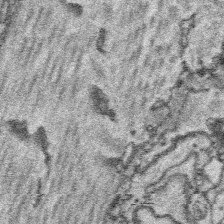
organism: Platynereis dumerilii